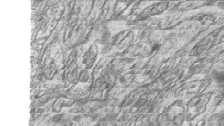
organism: Zebrafish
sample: synaptic ribbons in rod cells and cone cells